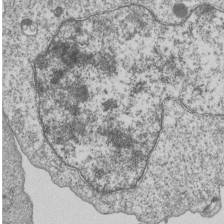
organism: Human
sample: MDA-MB-231 cells